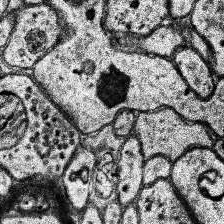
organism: Human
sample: Temporal Lobe